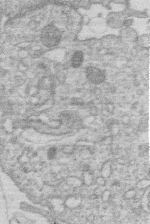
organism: Human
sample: Macrophage cells